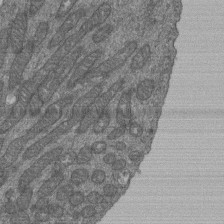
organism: Human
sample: Retinal organoid Rod and Cone cells